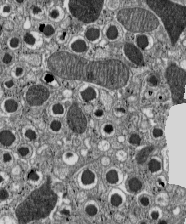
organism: C57BL Mouse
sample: Pancreatic islet